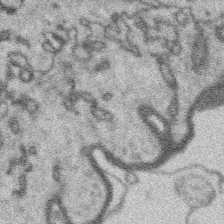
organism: Platynereis dumerilii